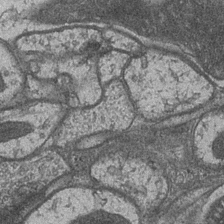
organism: Drosophila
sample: Optic medulla